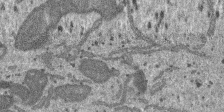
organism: Human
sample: Lung epithelial cells infected with SARS-CoV-2